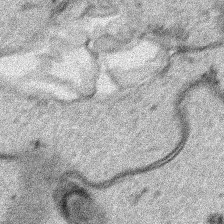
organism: Human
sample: Mitochondria in HCT116 cells